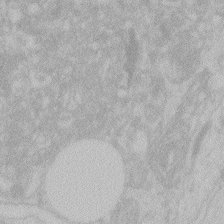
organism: Zebrafish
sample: Macrophage infected with Toxoplasma gondii